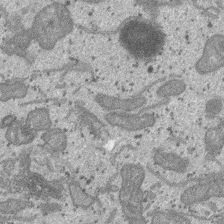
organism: Human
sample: Lung epithelial cells infected with SARS-CoV-2